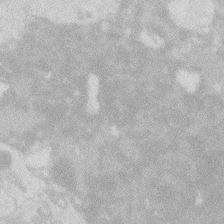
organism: Zebrafish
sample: Macrophage